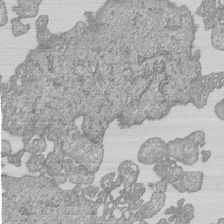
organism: Human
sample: MDA-MB-231 cells